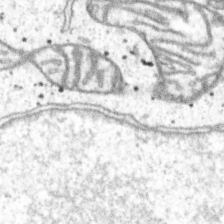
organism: Human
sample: HeLa cells